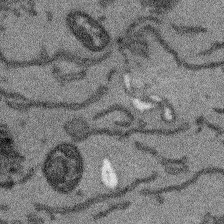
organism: Arabidopsis thaliana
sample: Root tip